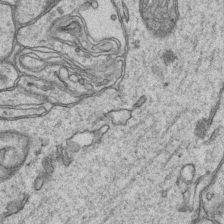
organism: Mouse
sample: CA1 Hippocampus